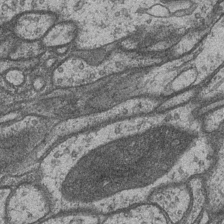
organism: Drosophila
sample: Optic medulla